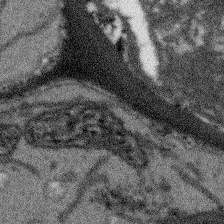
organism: Arabidopsis thaliana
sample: Root tip